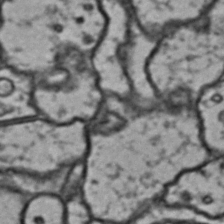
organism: Drosophila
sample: Brain